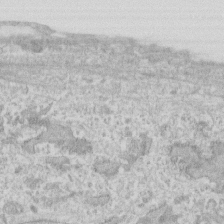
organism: Human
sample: Fibroblast cells